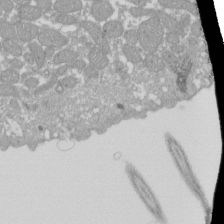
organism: Xenopus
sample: Cilia; centrioles in frog embryo cells